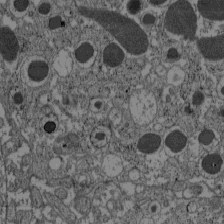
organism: C57BL Mouse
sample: Pancreatic islet